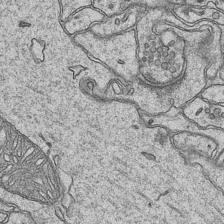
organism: Mouse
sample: CA1 Hippocampus